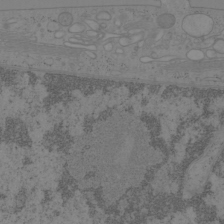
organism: Human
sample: HeLa cells